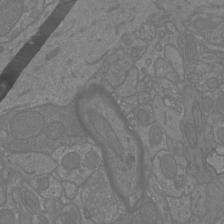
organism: Mouse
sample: Cortical neurons